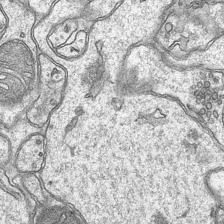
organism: Mouse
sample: CA1 Hippocampus